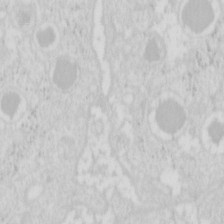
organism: Mouse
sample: Pancreas